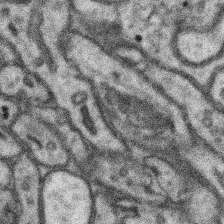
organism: Mouse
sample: Somatosensory cortex neuropil